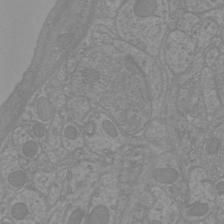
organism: Mouse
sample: Cortical neurons